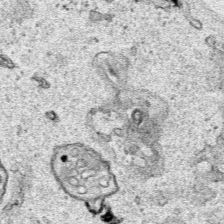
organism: Human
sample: Mitochondria in HCT116 cells